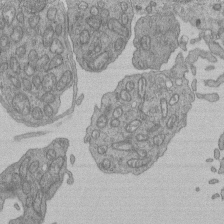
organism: Human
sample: Retinal organoid Rod and Cone cells